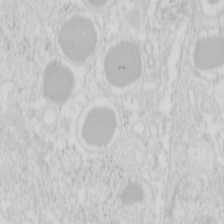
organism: Mouse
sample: Pancreas